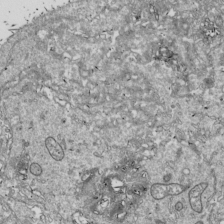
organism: Drosophila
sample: Cell division; meiosis; drosophila spermatocytes